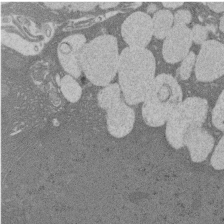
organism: Rat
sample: Salivary granule